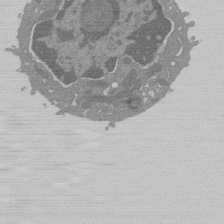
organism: Mouse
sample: Activated Pmel transgenic CD8+ T Cells